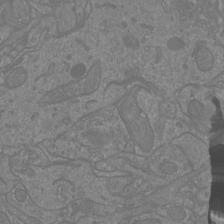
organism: Mouse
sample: Cortical neurons